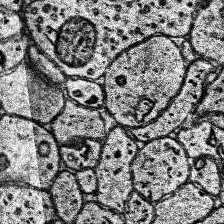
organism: Human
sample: Temporal Lobe